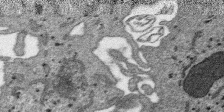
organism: Human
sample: Lung epithelial cells infected with SARS-CoV-2